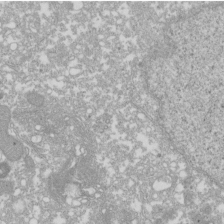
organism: Xenopus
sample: Cilia; centrioles in frog embryo cells